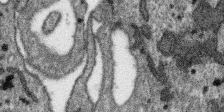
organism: Human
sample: Lung epithelial cells infected with SARS-CoV-2